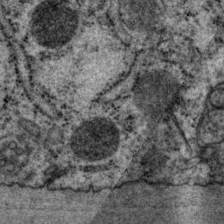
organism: P. pacificus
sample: Pharynx